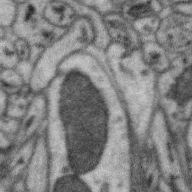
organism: Zebra finch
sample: Brain